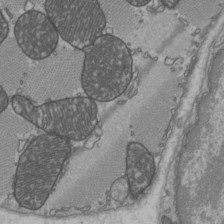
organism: C57BL Mouse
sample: Heart